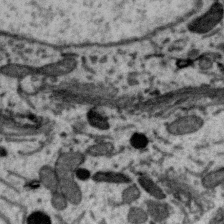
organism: Zebra finch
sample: Brain